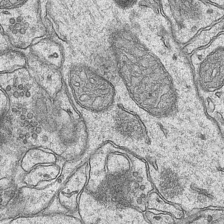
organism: Mouse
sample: CA1 Hippocampus